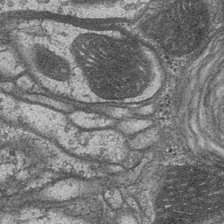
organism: Drosophila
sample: Optic medulla